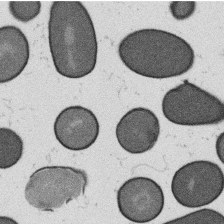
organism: B. subtilis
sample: Bacterial spore